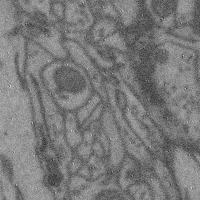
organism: Mouse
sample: Cerebral cortex